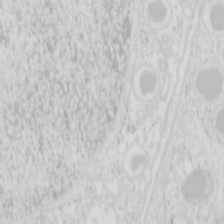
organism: Mouse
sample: Pancreas